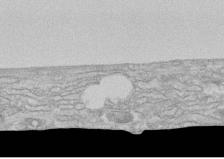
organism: Human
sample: CRL-1474